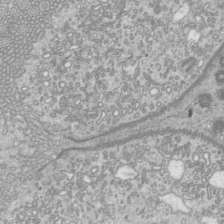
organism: Mouse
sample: Cilia; mouse epididymis